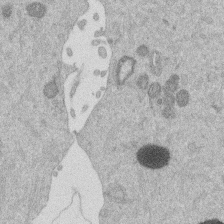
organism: Mouse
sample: Dividing mouse embryo 1 cell stage